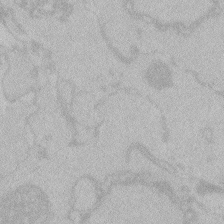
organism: Zebrafish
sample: Macrophage infected with Toxoplasma gondii